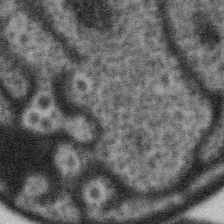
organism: Gemmata obscuriglobus